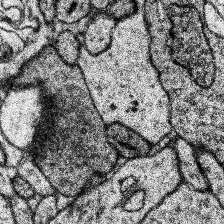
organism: Human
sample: Temporal Lobe